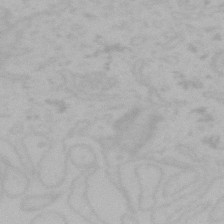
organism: Mouse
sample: Choroid plexus